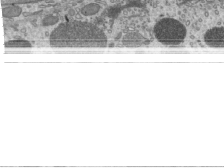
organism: Mouse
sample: Mouse epididymis efferent ductule cilia